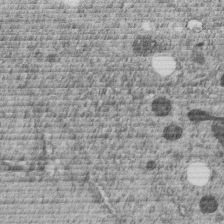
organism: C. elegans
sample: C. elegans embryo early stage